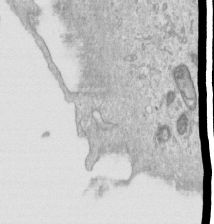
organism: Human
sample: Centriole in RPE cells